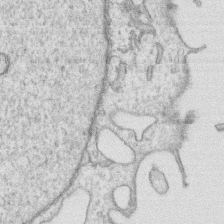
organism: Human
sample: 1205lu cells